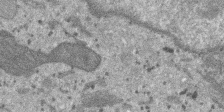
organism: Human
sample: Lung epithelial cells infected with SARS-CoV-2